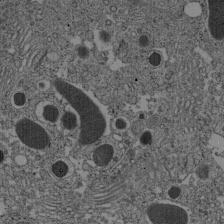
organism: C57BL Mouse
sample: Pancreatic islet